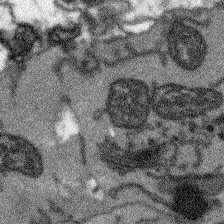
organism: Arabidopsis thaliana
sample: Root tip